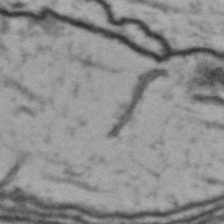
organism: Drosophila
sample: Brain